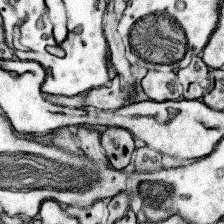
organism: Mouse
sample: Somatosensory cortex neuropil